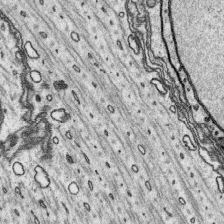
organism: Platynereis dumerilii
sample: Parapodia